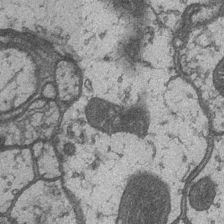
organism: Drosophila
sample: Optic medulla